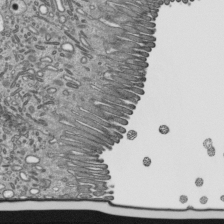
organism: Mouse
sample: Mouse epididymis efferent ductule cilia